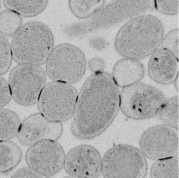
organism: E. coli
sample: Bacterial nucleoid